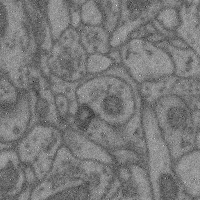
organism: Mouse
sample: Cerebral cortex